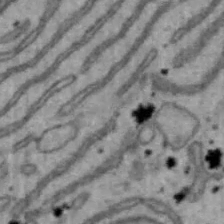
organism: Mouse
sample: Liver